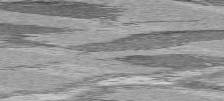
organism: C57BL Mouse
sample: Heart